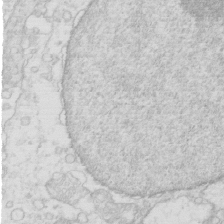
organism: Mouse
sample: Multiciliated cells